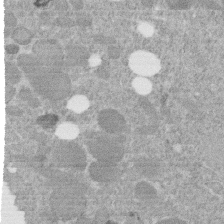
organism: C. elegans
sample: C. elegans embryo early stage